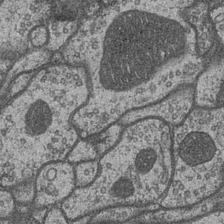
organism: Drosophila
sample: Optic medulla